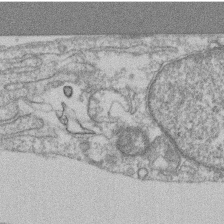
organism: Mouse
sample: T cell stromal cell synapse